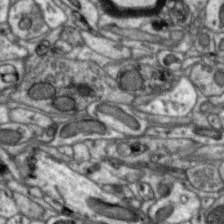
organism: Zebra finch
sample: Brain